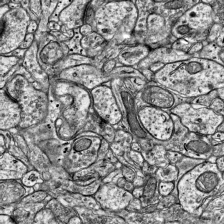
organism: Mouse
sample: Visual Cortex